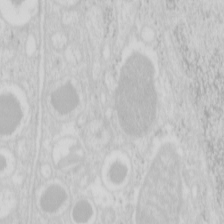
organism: Mouse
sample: Pancreas